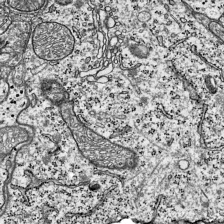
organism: Mouse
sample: Visual Cortex